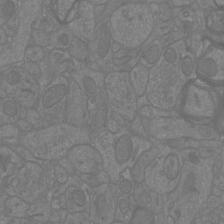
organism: Mouse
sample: Cortical neurons